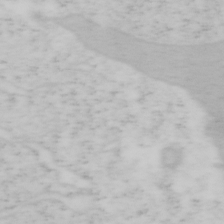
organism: Mouse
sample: OT-I killer T cells with ID8 ovarian cancer cells